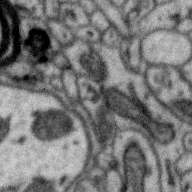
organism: Zebra finch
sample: Brain